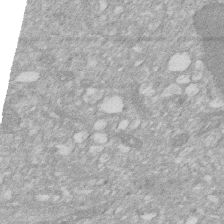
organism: Human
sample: HIV infected U937 cells